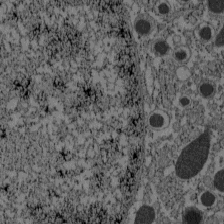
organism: C57BL Mouse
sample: Pancreatic islet